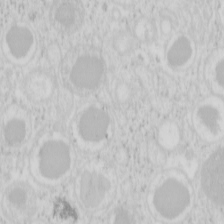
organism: Mouse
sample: Pancreas